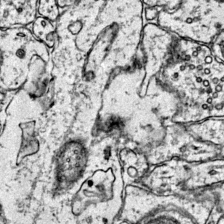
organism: Mouse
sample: Primary visual cortex